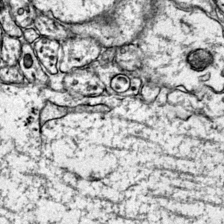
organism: Mouse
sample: Primary visual cortex